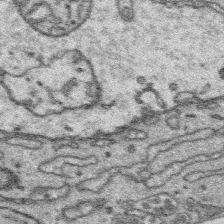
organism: Platynereis dumerilii